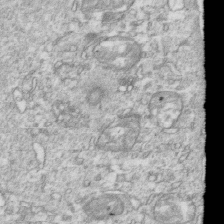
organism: Mouse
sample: Activated OT-1 CD8+ T cells